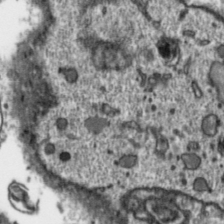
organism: Toxoplasma gondii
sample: Parasites in a vacuole inside a host cell